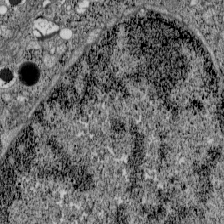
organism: C57BL Mouse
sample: Pancreatic islet